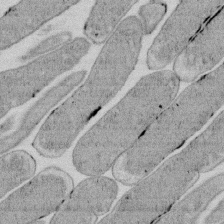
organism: E. coli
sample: Bacterial nucleoid